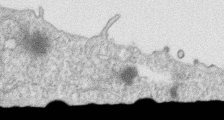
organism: Human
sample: HeLa cell HIV synapse